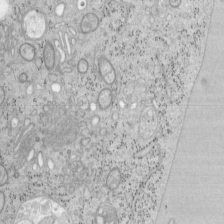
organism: Mouse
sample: OT-I killer T cells with ID8 ovarian cancer cells